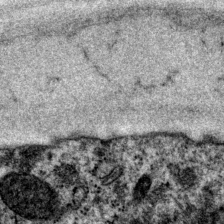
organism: P. pacificus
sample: Pharynx